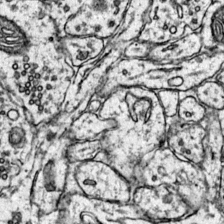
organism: Mouse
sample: Primary visual cortex